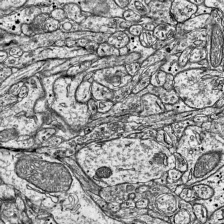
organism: Mouse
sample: Visual Cortex